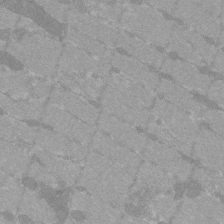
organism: C57BL Mouse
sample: Tibialis anterior muscle cell